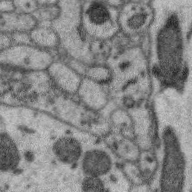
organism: Zebra finch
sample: Brain